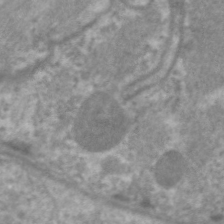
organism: C. elegans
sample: Pharynx